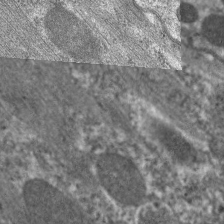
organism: C. elegans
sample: Pharynx